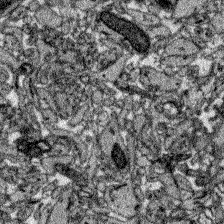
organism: Zebrafish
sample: Larval olfactory bulb